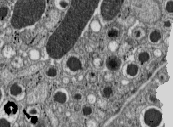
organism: C57BL Mouse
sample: Pancreatic islet